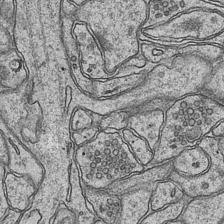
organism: Mouse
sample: CA1 Hippocampus